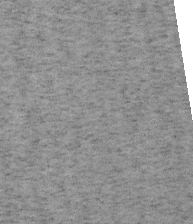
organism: Mouse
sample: OT-I killer T cells with ID8 ovarian cancer cells